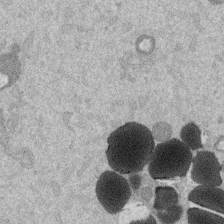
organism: Mouse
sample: Dividing mouse embryo 1 cell stage